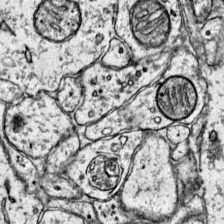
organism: Mouse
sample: Primary visual cortex